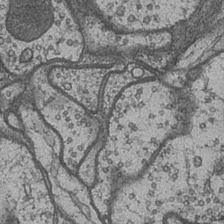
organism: Drosophila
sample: Optic medulla